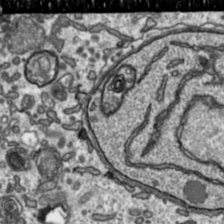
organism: Toxoplasma gondii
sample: Parasites in a vacuole inside a host cell